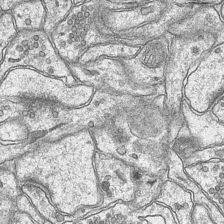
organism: Mouse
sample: CA1 Hippocampus